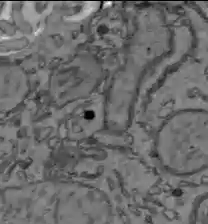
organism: C57BL Mouse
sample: Liver